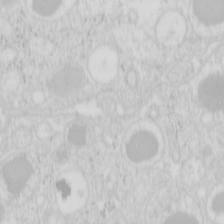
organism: Mouse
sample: Pancreas